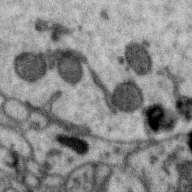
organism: Zebra finch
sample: Brain